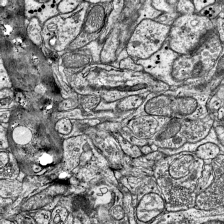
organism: Mouse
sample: Visual Cortex